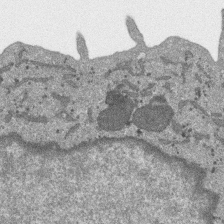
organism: Human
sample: Lung epithelial cells infected with SARS-CoV-2